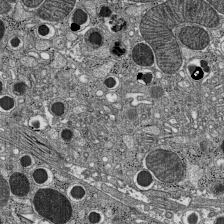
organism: C57BL Mouse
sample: Pancreatic islet